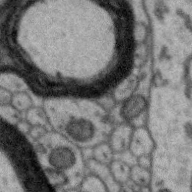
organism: Zebra finch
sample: Brain